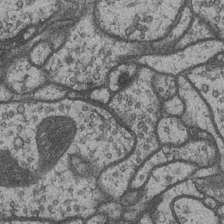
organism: Drosophila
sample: Optic medulla